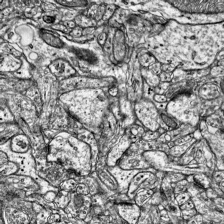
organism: Mouse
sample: Visual Cortex